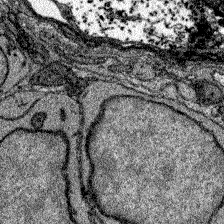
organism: Zebrafish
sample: Larval olfactory bulb